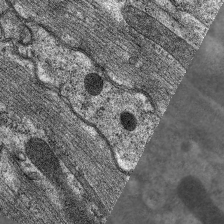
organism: C. elegans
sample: Pharynx